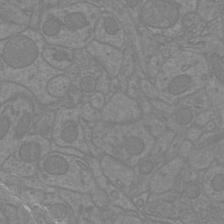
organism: Mouse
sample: Cortical neurons